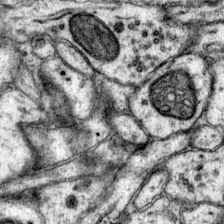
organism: Mouse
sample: Primary visual cortex